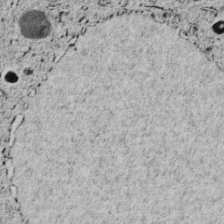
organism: C. elegans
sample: C. elegans embryo early stage